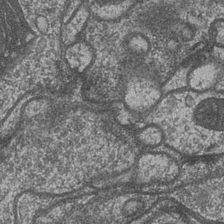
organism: Drosophila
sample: Optic medulla